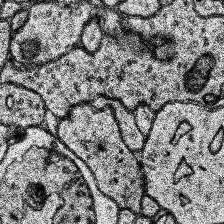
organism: Human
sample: Temporal Lobe